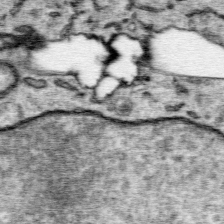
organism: Human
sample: HeLa cells